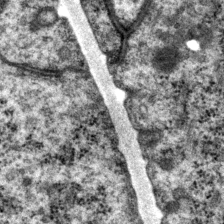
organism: P. pacificus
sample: Pharynx